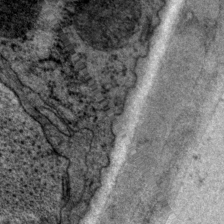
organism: P. pacificus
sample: Pharynx